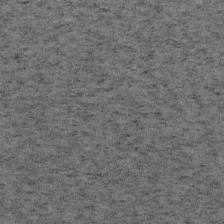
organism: Mouse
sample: OT-I killer T cells with ID8 ovarian cancer cells